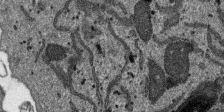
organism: Human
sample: Lung epithelial cells infected with SARS-CoV-2